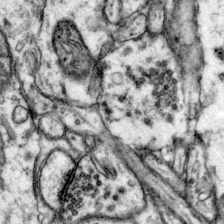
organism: Mouse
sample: Primary visual cortex